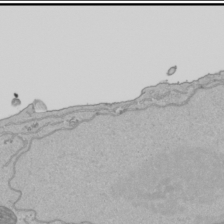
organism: Human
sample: Mitochondria in HCT116 cells